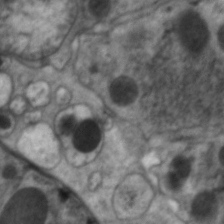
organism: C. elegans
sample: Pharynx